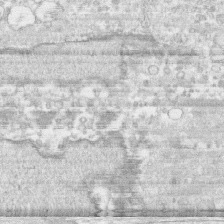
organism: Human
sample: CRL-1474